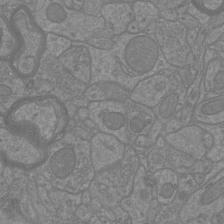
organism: Mouse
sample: Cortical neurons